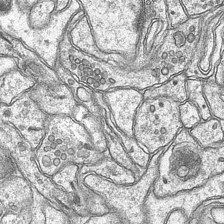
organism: Mouse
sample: CA1 Hippocampus